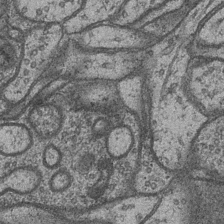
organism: Drosophila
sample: Optic medulla